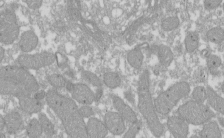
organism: Xenopus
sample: Cilia; centrioles in frog embryo cells